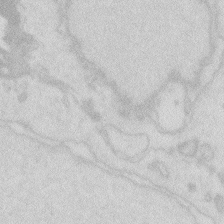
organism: Zebrafish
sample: Macrophage